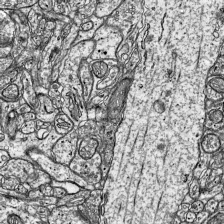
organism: Mouse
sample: Visual Cortex